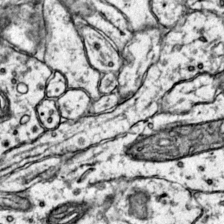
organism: Mouse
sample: Primary visual cortex